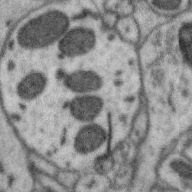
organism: Zebra finch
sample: Brain